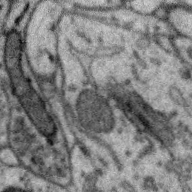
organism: Zebra finch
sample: Brain